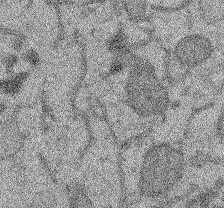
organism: Human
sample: HeLa cells